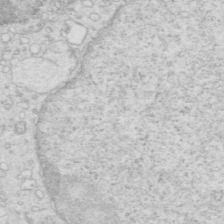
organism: Mouse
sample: Multiciliated cells